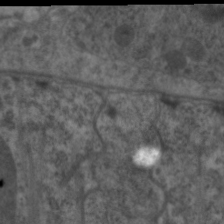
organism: C. elegans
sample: Pharynx